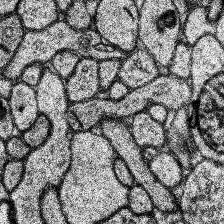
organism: Human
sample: Temporal Lobe